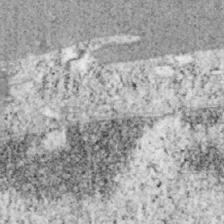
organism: Mouse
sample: OT-I killer T cells with ID8 ovarian cancer cells